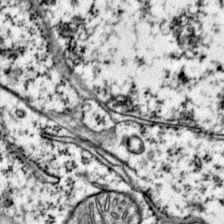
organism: Mouse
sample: Primary visual cortex